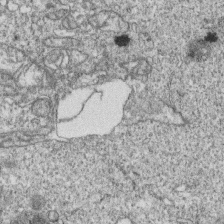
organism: Human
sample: HeLa cell HIV synapse